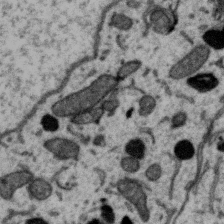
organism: Zebra finch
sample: Brain